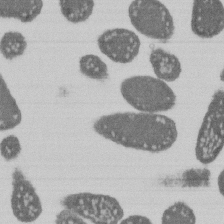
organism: E. coli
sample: Bacterial nucleoid